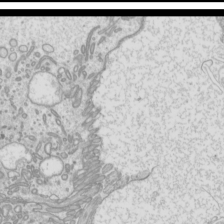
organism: Mouse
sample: Cilia; mouse epididymis